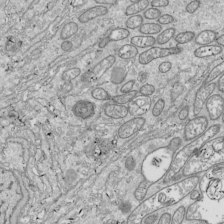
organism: Drosophila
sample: Cell division; meiosis; drosophila spermatocytes